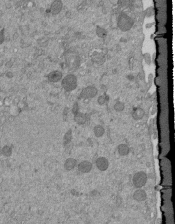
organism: Mouse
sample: ED-1 cell nuclei; centrioles